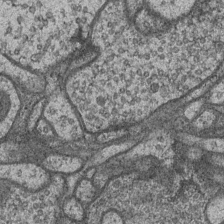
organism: Drosophila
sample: Optic medulla